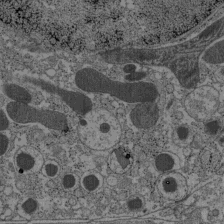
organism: C57BL Mouse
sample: Pancreatic islet